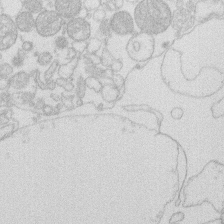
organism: Human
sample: Macrophage cells